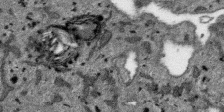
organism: Human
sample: Lung epithelial cells, uninfected (mock) control